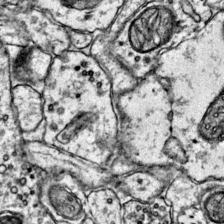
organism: Mouse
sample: Primary visual cortex